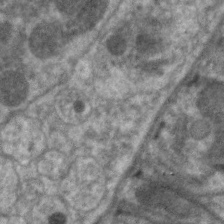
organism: C. elegans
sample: Pharynx